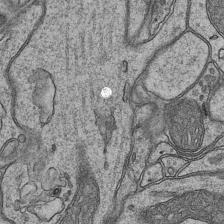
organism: Mouse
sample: CA1 Hippocampus